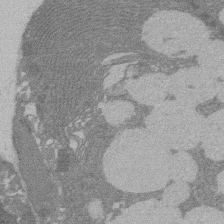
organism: Rat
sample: Salivary granule